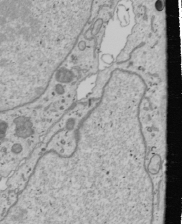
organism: Human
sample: Mitochondria in U2OS cells